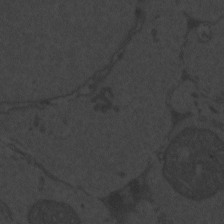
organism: Zebrafish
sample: Macrophage infected with Toxoplasma gondii